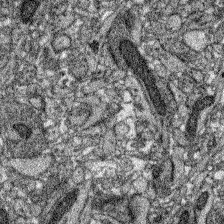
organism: Zebrafish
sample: Larval olfactory bulb